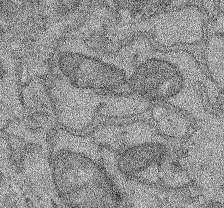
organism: Human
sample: HeLa cells